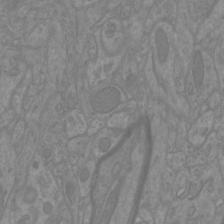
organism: Mouse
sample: Cortical neurons